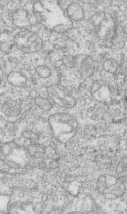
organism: Human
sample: HeLa cell HIV synapse